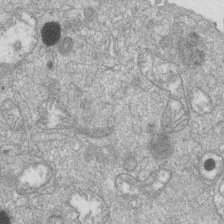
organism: Human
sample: HeLa cell HIV synapse